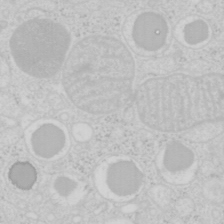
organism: Mouse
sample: Pancreas